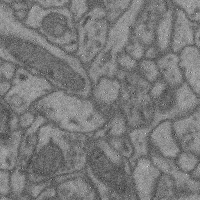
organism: Mouse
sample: Cerebral cortex